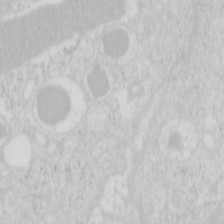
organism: Mouse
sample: Pancreas